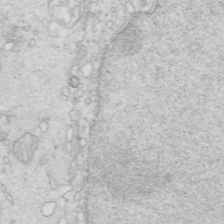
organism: Mouse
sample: Multiciliated cells